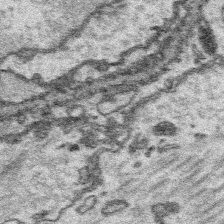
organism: Platynereis dumerilii